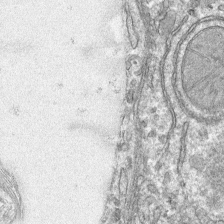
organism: Mouse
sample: Mouse hepatocytes